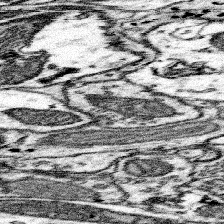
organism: Mouse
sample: Somatosensory cortex neuropil